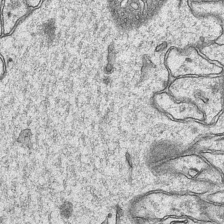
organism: Mouse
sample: CA1 Hippocampus